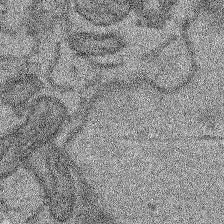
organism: Human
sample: HeLa cells